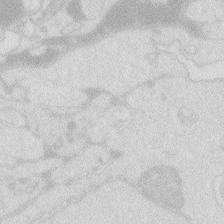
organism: Zebrafish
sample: Macrophage